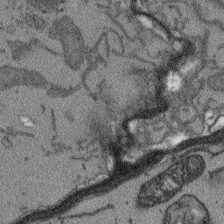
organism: Arabidopsis thaliana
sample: Root tip